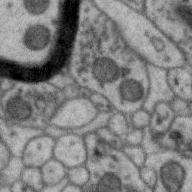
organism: Zebra finch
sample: Brain